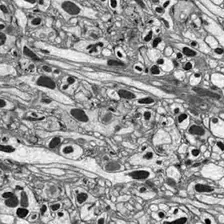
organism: Drosophila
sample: Optic lobe